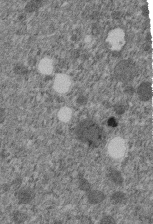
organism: C. elegans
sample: C. elegans embryo early stage